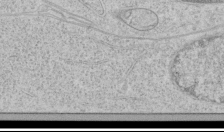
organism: Human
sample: Mitochondria in HCT116 cells